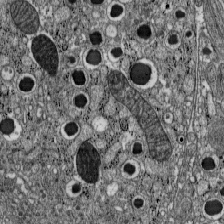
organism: C57BL Mouse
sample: Pancreatic islet